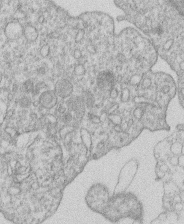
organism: Human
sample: Macrophage cells